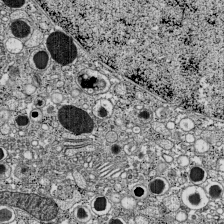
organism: C57BL Mouse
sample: Pancreatic islet